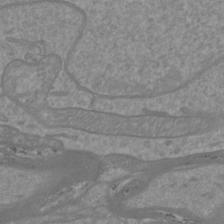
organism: Mouse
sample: Cortical neurons